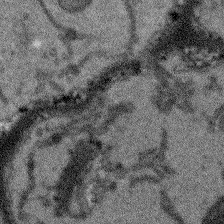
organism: Arabidopsis thaliana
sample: Root tip